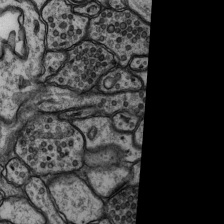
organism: Rat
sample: Hippocampus